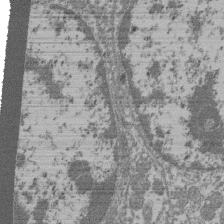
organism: Mouse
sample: Glomerulus